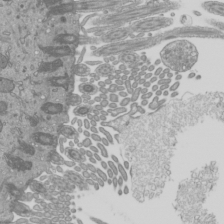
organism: Mouse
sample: Cilia; mouse epididymis